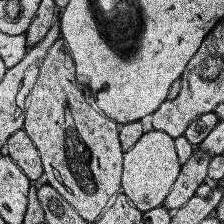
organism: Human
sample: Temporal Lobe